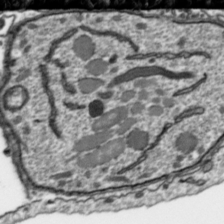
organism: Toxoplasma gondii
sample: Parasites in a vacuole inside a host cell